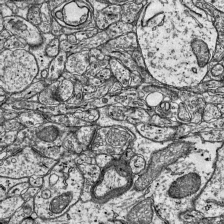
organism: Mouse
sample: Visual Cortex